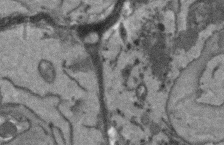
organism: Arabidopsis thaliana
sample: Root tip